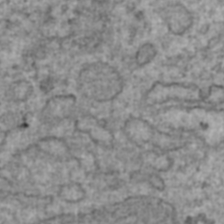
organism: Human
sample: Blood